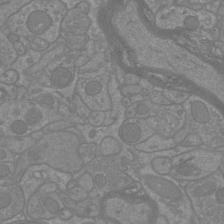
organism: Mouse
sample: Cortical neurons